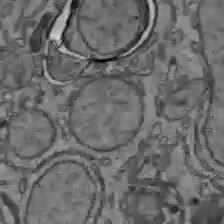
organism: C57BL Mouse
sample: Liver